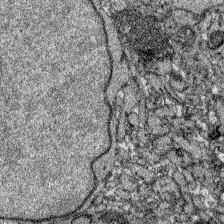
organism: Zebrafish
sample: Larval olfactory bulb